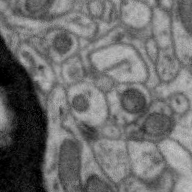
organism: Zebra finch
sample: Brain